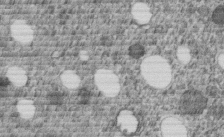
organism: C. elegans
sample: C. elegans embryo early stage